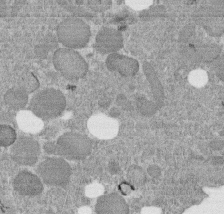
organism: C. elegans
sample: C. elegans embryo early stage